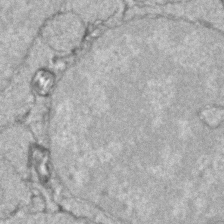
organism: Zebrafish